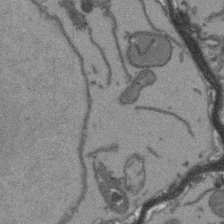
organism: Arabidopsis thaliana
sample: Root tip